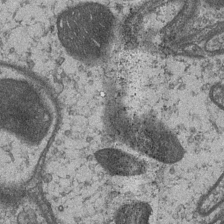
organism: Drosophila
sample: Optic medulla